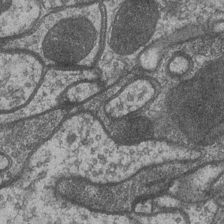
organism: Drosophila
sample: Optic medulla